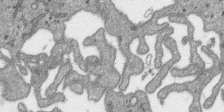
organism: Human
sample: Lung epithelial cells infected with SARS-CoV-2